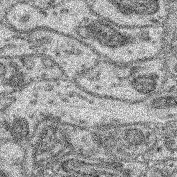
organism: Mouse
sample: Retina